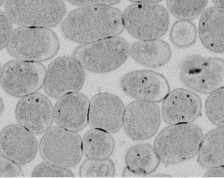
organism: E. coli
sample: Bacterial nucleoid